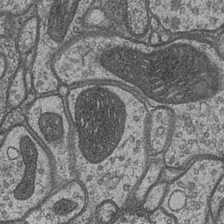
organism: Drosophila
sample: Optic medulla